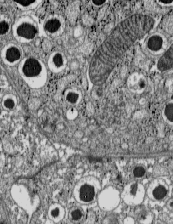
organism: C57BL Mouse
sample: Pancreatic islet